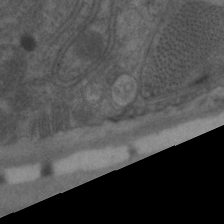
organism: C. elegans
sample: Pharynx